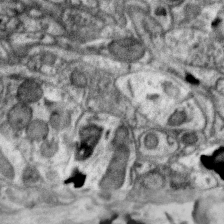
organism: Zebra finch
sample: Brain